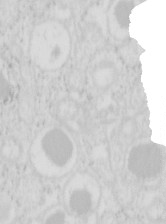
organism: Mouse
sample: Pancreas